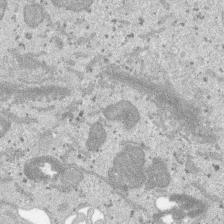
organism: Human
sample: Lung epithelial cells infected with SARS-CoV-2